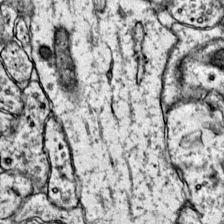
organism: Mouse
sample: Primary visual cortex